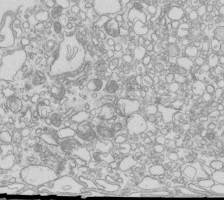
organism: Mouse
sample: Macrophages